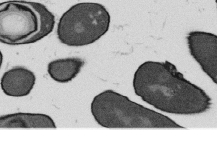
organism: B. subtilis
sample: Bacterial spore